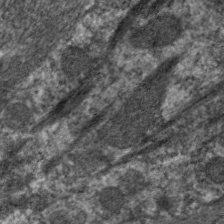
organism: C. elegans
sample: Pharynx